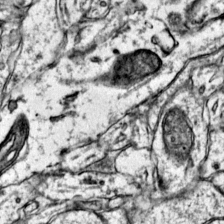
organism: Mouse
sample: Primary visual cortex